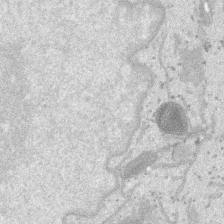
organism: Human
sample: Lung epithelial cells infected with SARS-CoV-2